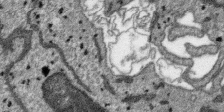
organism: Human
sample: Lung epithelial cells, uninfected (mock) control